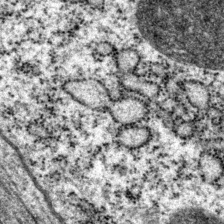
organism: P. pacificus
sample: Pharynx